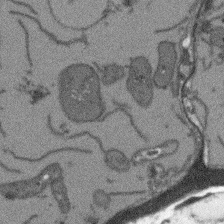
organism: Arabidopsis thaliana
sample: Root tip